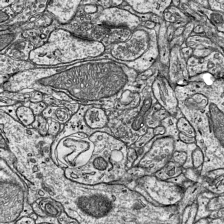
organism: Mouse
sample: Visual Cortex